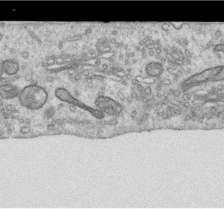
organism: Human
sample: Centriole in RPE cells